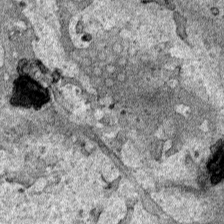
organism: Human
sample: Mitochondria in HCT116 cells